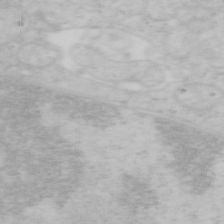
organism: Mouse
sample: OT-I killer T cells with ID8 ovarian cancer cells